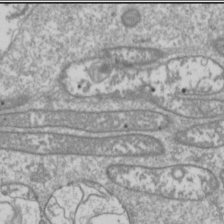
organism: Drosophila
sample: Cell division; meiosis; drosophila spermatocytes